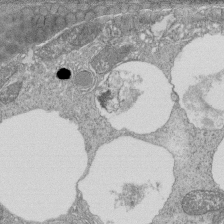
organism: Tetrahymena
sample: Cilia in tetrahymena